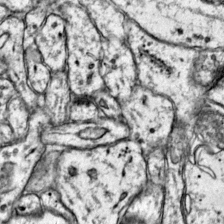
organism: Mouse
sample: Primary visual cortex